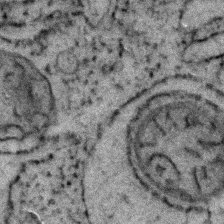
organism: Zebrafish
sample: Zebrafish embryo